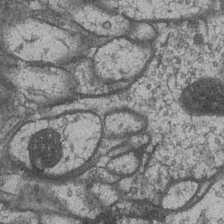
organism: Drosophila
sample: Optic medulla